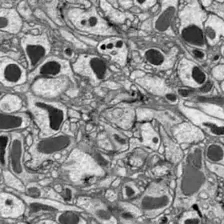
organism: Drosophila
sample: Optic lobe